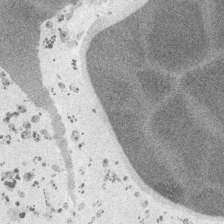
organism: Embia sp.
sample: Silk gland